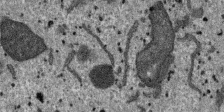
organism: Human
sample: Lung epithelial cells, uninfected (mock) control